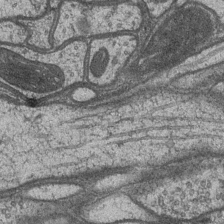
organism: Drosophila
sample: Optic medulla